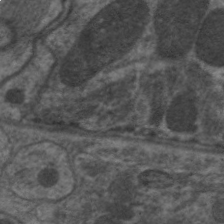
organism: C. elegans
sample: Pharynx